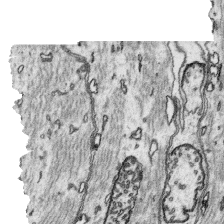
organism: Platynereis dumerilii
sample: Parapodia